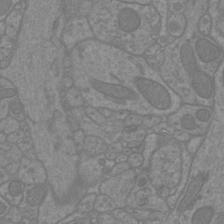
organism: Mouse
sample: Cortical neurons